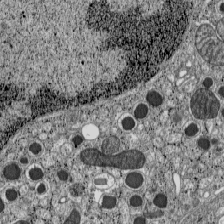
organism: C57BL Mouse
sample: Pancreatic islet